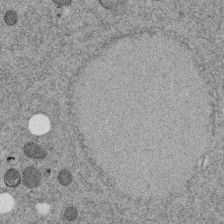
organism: C. elegans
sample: C. elegans embryo early stage